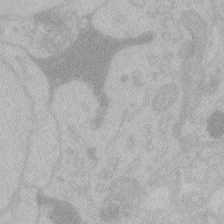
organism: Zebrafish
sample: Macrophage infected with Toxoplasma gondii